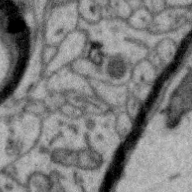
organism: Zebra finch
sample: Brain